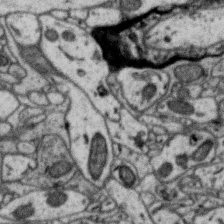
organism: Zebra finch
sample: Brain